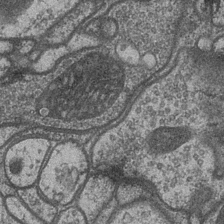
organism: Drosophila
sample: Optic medulla